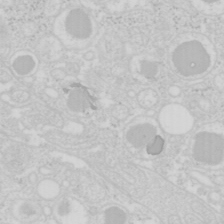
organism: Mouse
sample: Pancreas